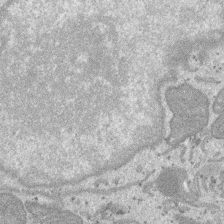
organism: Human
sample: Lung epithelial cells infected with SARS-CoV-2